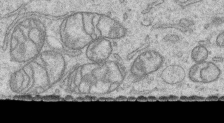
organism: Human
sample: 1205lu cells